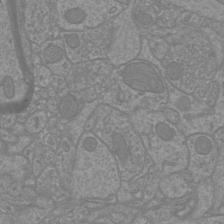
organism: Mouse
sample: Cortical neurons